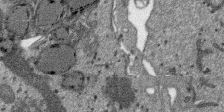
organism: Human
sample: Lung epithelial cells infected with SARS-CoV-2